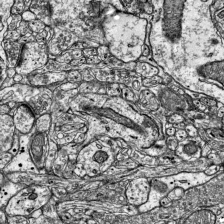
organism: Mouse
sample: Visual Cortex